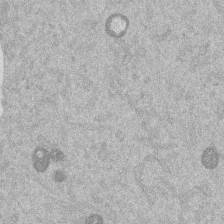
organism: Mouse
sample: Dividing mouse embryo 1 cell stage